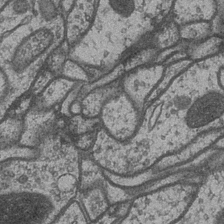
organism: Drosophila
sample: Optic medulla